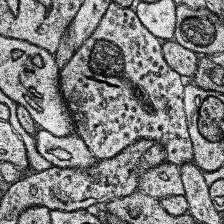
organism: Human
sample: Temporal Lobe